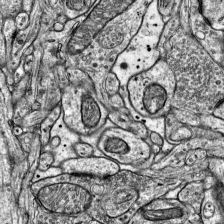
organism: Mouse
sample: Visual Cortex